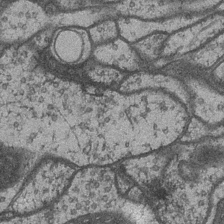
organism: Drosophila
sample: Optic medulla